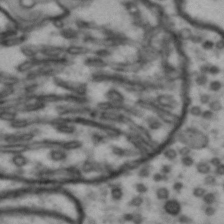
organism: Drosophila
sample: Brain